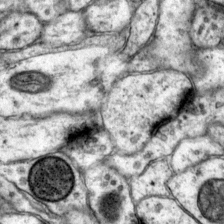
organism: Mouse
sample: Primary visual cortex